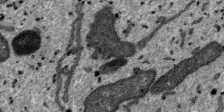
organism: Human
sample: Lung epithelial cells, uninfected (mock) control